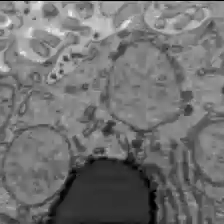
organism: C57BL Mouse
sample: Liver